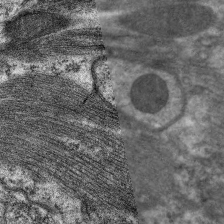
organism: C. elegans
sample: Pharynx